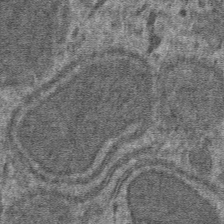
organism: Mouse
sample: Mouse hepatocytes